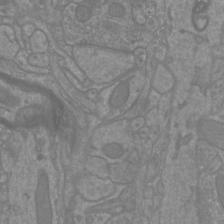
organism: Mouse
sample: Cortical neurons